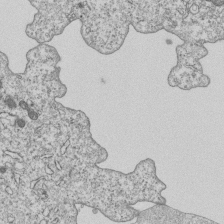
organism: Human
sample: MDA-MB-231 cells